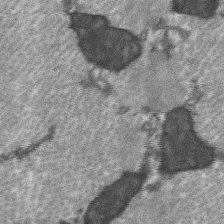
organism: C57BL Mouse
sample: Soleus